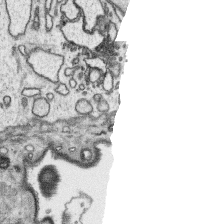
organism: Platynereis dumerilii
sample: Parapodia